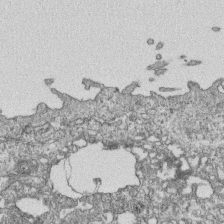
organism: Human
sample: HeLa cell HIV synapse